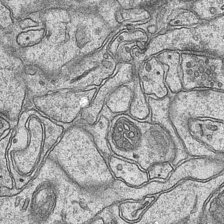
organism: Mouse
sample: CA1 Hippocampus